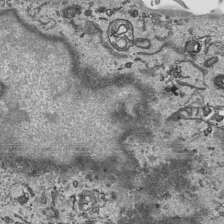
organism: Human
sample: Mitochondria in HCT116 cells